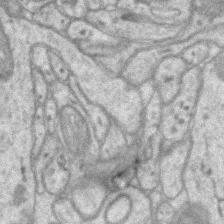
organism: Mouse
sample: CA1 Hippocampus